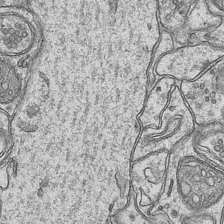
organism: Mouse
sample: CA1 Hippocampus